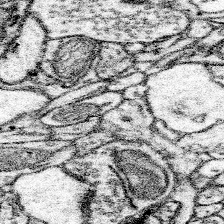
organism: Mouse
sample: Somatosensory cortex neuropil